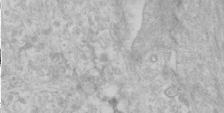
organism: Human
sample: Cilia; basal body in RPE cells